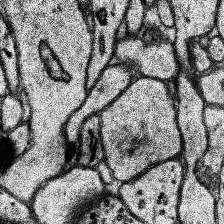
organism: Human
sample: Temporal Lobe